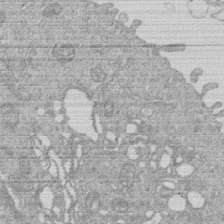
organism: Human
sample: Macrophage cells